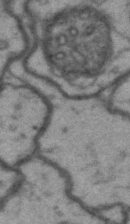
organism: Drosophila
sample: Brain